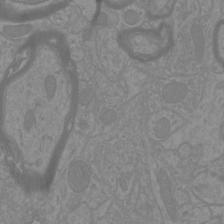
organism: Mouse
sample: Cortical neurons